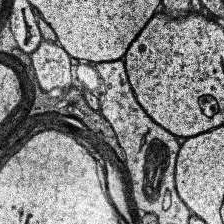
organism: Human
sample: Temporal Lobe